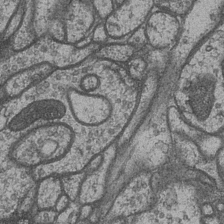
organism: Drosophila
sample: Optic medulla